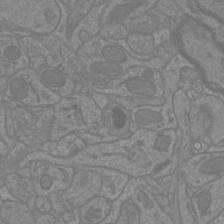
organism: Mouse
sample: Cortical neurons